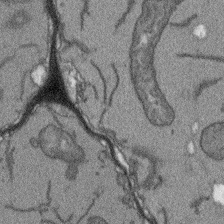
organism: Arabidopsis thaliana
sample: Root tip